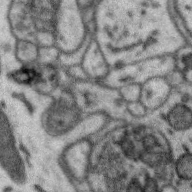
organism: Zebra finch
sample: Brain